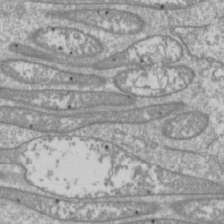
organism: Drosophila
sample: Cell division; meiosis; drosophila spermatocytes